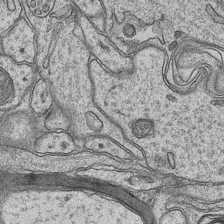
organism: Mouse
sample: CA1 Hippocampus